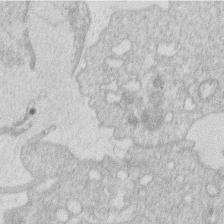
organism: Human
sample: Macrophage cells